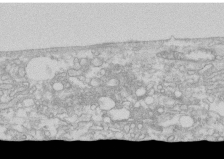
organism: Human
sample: CRL-1474